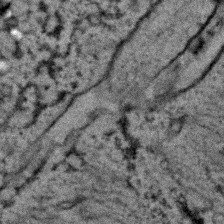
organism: C. elegans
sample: C. elegans embryo